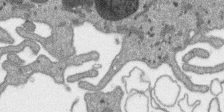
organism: Human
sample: Lung epithelial cells infected with SARS-CoV-2